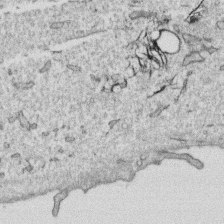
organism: Human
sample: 1205lu cells